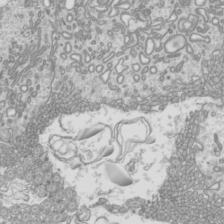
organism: Mouse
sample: Cilia; mouse epididymis